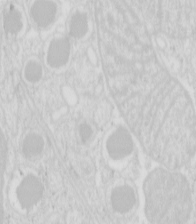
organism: Mouse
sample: Pancreas